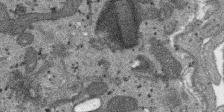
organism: Human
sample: Lung epithelial cells infected with SARS-CoV-2